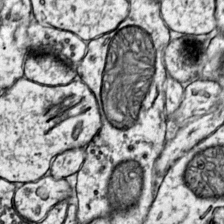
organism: Mouse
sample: Primary visual cortex